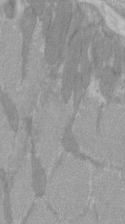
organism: C57BL Mouse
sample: Tibialis anterior muscle cell